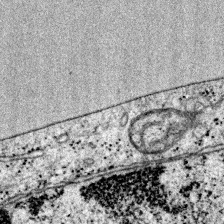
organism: Human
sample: HeLa cells